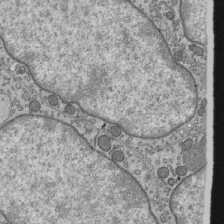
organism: Mouse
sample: Mouse epididymis efferent ductule cilia